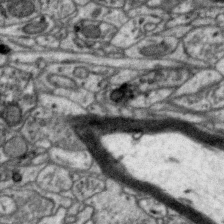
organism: Zebra finch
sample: Brain